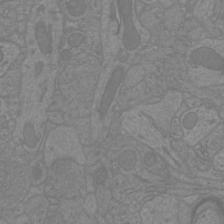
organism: Mouse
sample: Cortical neurons